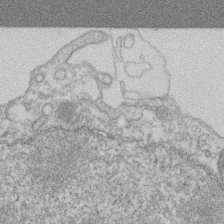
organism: Mouse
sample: T cell stromal cell synapse